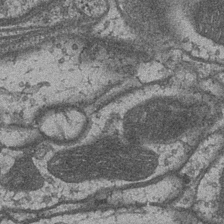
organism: Drosophila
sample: Optic medulla